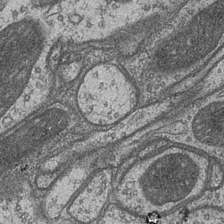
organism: Drosophila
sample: Optic medulla